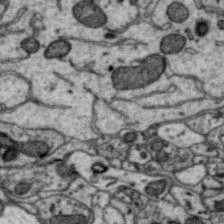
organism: Zebra finch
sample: Brain